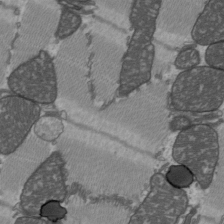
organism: C57BL Mouse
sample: Heart